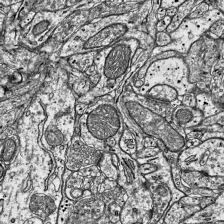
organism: Mouse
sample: Visual Cortex